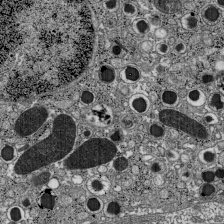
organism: C57BL Mouse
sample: Pancreatic islet